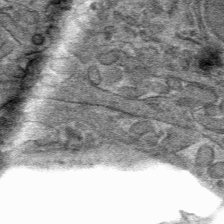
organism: Mouse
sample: Mouse hepatocytes